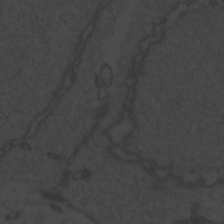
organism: Zebrafish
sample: Macrophage infected with Toxoplasma gondii